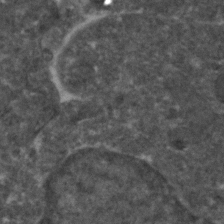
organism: Zebrafish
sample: Zebrafish embryo